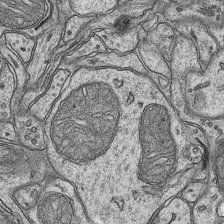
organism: Mouse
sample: CA1 Hippocampus